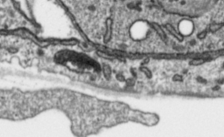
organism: Toxoplasma gondii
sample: Parasites in a vacuole inside a host cell